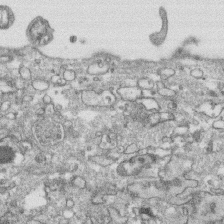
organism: Human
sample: CRL-1474